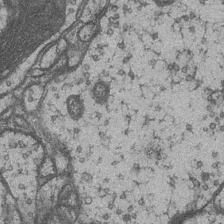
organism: Drosophila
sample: Optic medulla